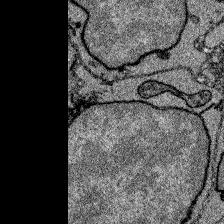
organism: Zebrafish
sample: Larval olfactory bulb